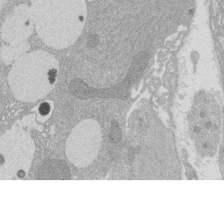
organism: Rat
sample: Salivary granule